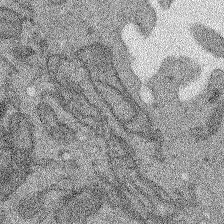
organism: Human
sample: HeLa cells